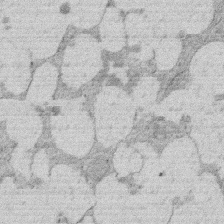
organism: Rat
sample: Salivary granule